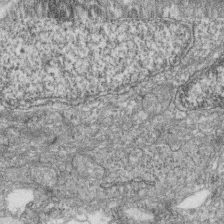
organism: Zebrafish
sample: Cilia; retinal pigment epithelium